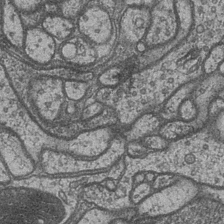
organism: Drosophila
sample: Optic medulla